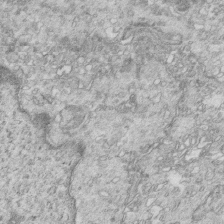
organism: Mouse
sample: Multiciliated cells